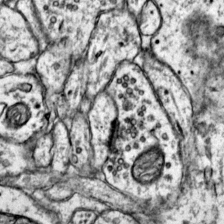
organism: Mouse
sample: Primary visual cortex